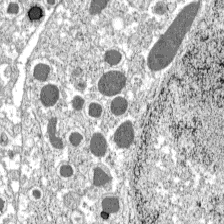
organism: C57BL Mouse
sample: Pancreatic islet